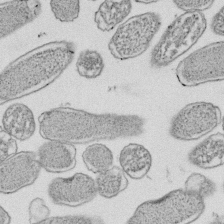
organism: E. coli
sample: Bacterial nucleoid